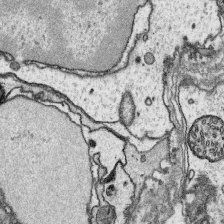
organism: Platynereis dumerilii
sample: Parapodia